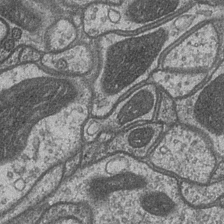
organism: Drosophila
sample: Optic medulla